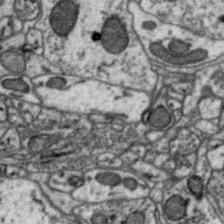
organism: Zebra finch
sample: Brain